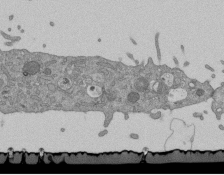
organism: Mouse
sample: ED-1 cell nuclei; centrioles